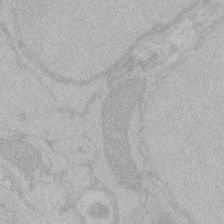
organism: Zebrafish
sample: Macrophage infected with Toxoplasma gondii